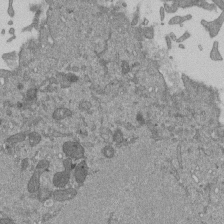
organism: Mouse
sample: ED-1 cell nuclei; centrioles